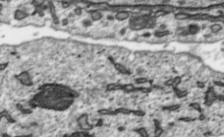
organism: Toxoplasma gondii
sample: Parasites in a vacuole inside a host cell